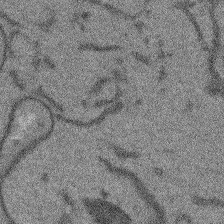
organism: Arabidopsis thaliana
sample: Root tip